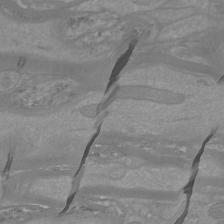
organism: Mouse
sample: Cortical neurons